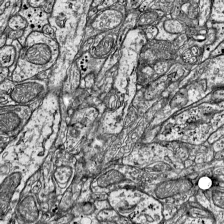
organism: Mouse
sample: Visual Cortex